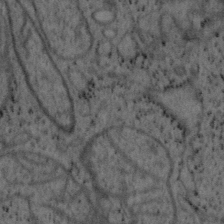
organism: Human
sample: HeLa cells